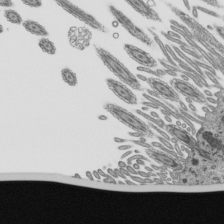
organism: Mouse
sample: Mouse epididymis efferent ductule cilia